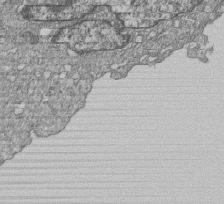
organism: Human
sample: MDA-MB-231 cells